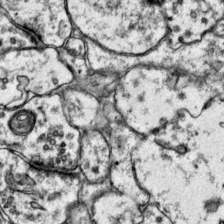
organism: Mouse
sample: Primary visual cortex